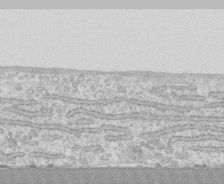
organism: Human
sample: CRL-1474